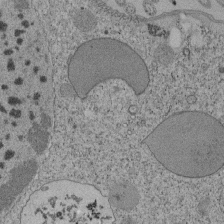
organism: Tetrahymena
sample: Cilia in tetrahymena